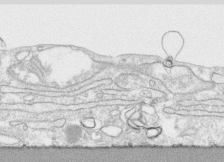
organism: Human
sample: CRL-1474